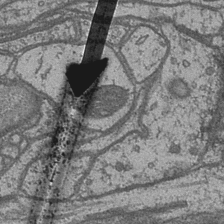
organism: Drosophila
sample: Optic medulla